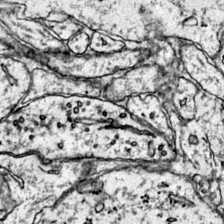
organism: Mouse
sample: Primary visual cortex